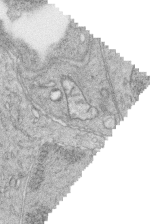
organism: Zebrafish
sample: synaptic ribbons in rod cells and cone cells